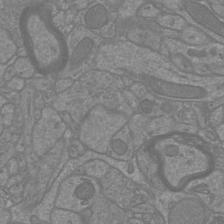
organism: Mouse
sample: Cortical neurons